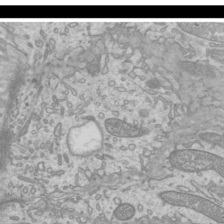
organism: Mouse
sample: Cilia; mouse epididymis